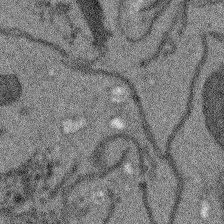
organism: Arabidopsis thaliana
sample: Root tip